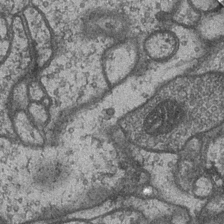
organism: Drosophila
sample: Optic medulla